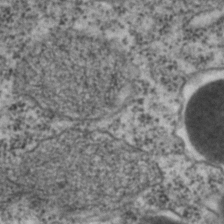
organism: C. elegans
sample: C. elegans embryo